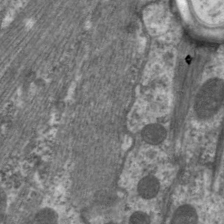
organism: C. elegans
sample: Pharynx